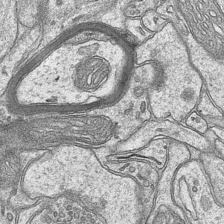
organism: Mouse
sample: CA1 Hippocampus